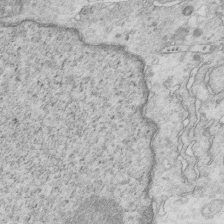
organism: Mouse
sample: Multiciliated cells